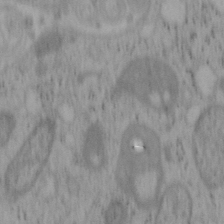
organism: Mouse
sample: OT-I killer T cells with ID8 ovarian cancer cells